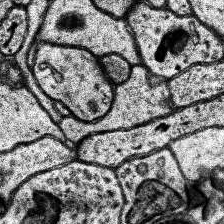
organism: Human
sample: Temporal Lobe